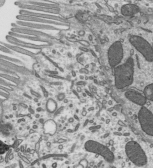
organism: Mouse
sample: Mouse epididymis efferent ductule cilia